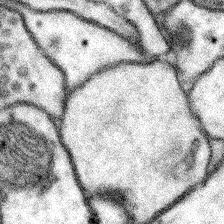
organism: Mouse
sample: Somatosensory cortex neuropil